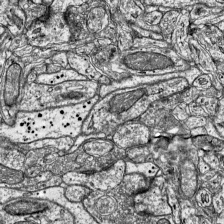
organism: Mouse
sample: Visual Cortex